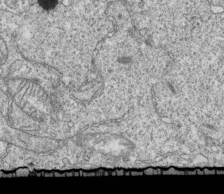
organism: Human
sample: HeLa cell HIV synapse